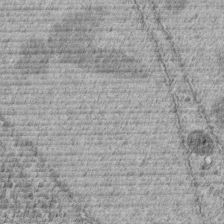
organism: C. elegans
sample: C. elegans embryo early stage